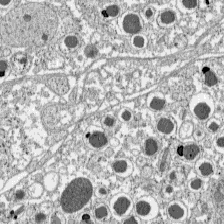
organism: C57BL Mouse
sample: Pancreatic islet